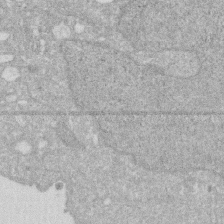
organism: Human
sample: HIV infected U937 cells